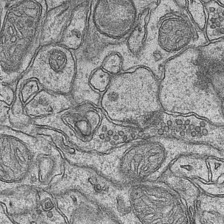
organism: Mouse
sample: CA1 Hippocampus